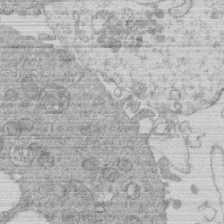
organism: Human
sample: Macrophage cells